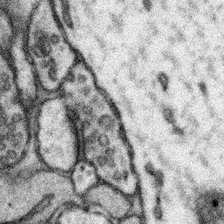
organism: Mouse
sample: Somatosensory cortex neuropil